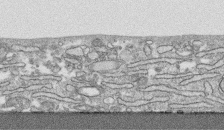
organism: Human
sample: CRL-1474